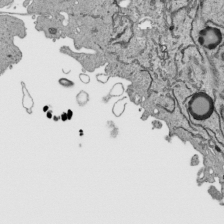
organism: Human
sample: Mitochondria in HCT116 cells